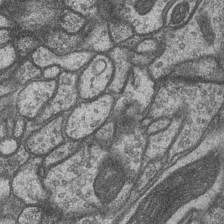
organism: Drosophila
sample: Optic medulla